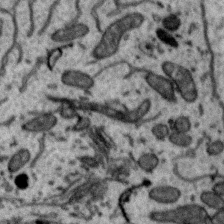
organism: Zebra finch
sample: Brain